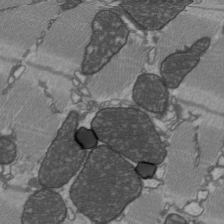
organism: C57BL Mouse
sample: Heart